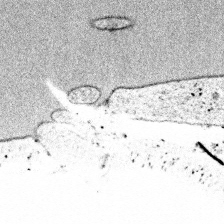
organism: Human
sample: HeLa cells